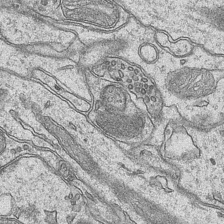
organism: Mouse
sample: CA1 Hippocampus